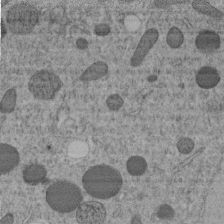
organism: C. elegans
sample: C. elegans embryo early stage